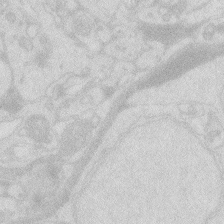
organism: Zebrafish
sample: Macrophage